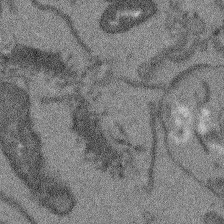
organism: Arabidopsis thaliana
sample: Root tip